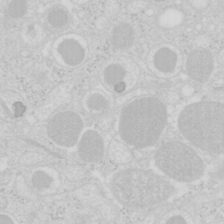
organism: Mouse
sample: Pancreas